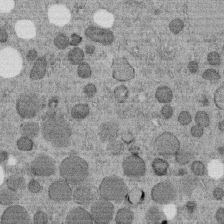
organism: C. elegans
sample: C. elegans embryo early stage